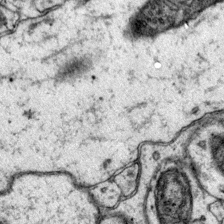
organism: Mouse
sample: Primary visual cortex